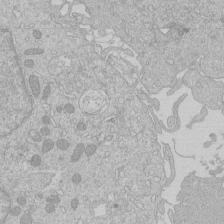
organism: Human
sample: Macrophage cells